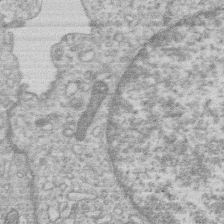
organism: Human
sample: Macrophage cells